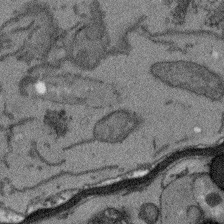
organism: Arabidopsis thaliana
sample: Root tip